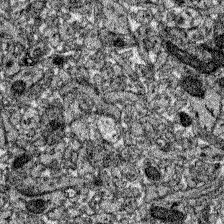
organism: Zebrafish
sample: Larval olfactory bulb